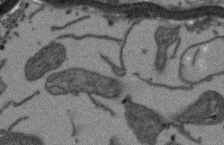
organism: Arabidopsis thaliana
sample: Root tip